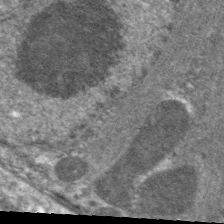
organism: C. elegans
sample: Pharynx